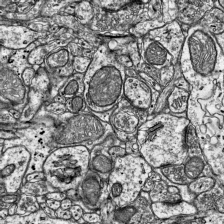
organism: Mouse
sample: Visual Cortex